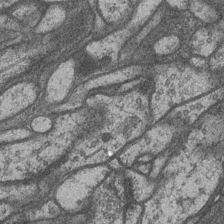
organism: Drosophila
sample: Optic medulla